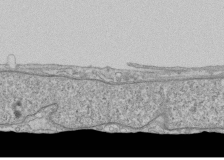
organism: Human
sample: Fibroblast cells